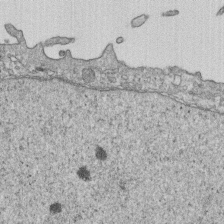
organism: Human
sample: HeLa cell HIV synapse